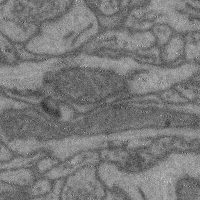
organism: Mouse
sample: Cerebral cortex